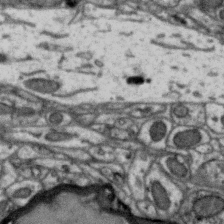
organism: Zebra finch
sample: Brain